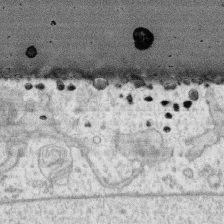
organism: Human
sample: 1205lu cells